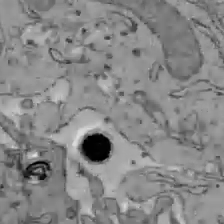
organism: C57BL Mouse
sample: Liver